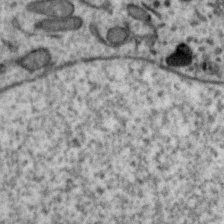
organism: Zebra finch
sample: Brain